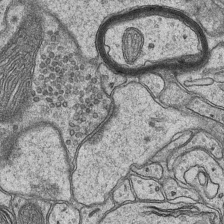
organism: Mouse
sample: CA1 Hippocampus